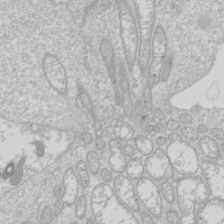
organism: Drosophila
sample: Cell division; meiosis; drosophila spermatocytes